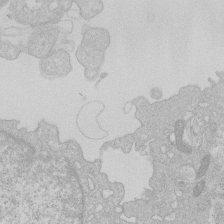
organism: Human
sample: Macrophage cells